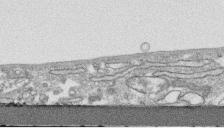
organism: Human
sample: CRL-1474